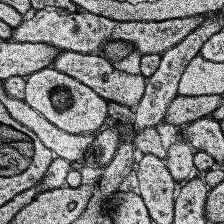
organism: Human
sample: Temporal Lobe